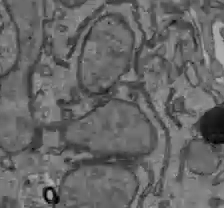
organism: C57BL Mouse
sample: Liver